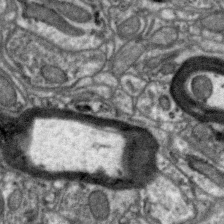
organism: Zebra finch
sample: Brain